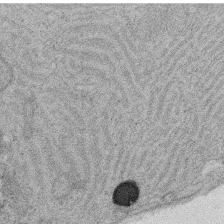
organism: Rat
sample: Salivary granule